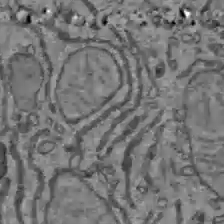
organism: C57BL Mouse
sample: Liver